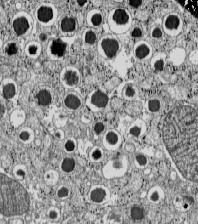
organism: C57BL Mouse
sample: Pancreatic islet